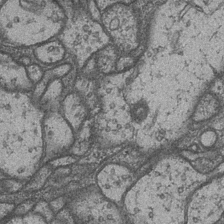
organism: Drosophila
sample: Optic medulla